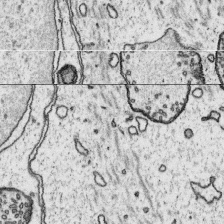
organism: Platynereis dumerilii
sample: Parapodia